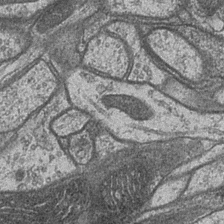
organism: Drosophila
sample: Optic medulla